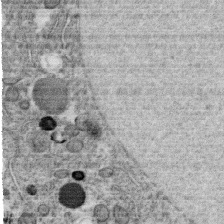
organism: C. elegans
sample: C. elegans oocyte; sperm cells